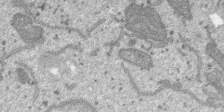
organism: Human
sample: Lung epithelial cells infected with SARS-CoV-2